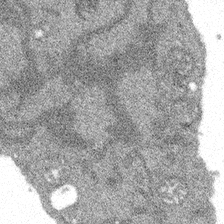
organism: Spongilla lacustris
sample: Multiple